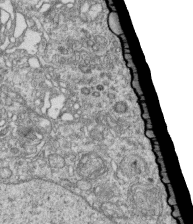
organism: Human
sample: HeLa cell HIV synapse